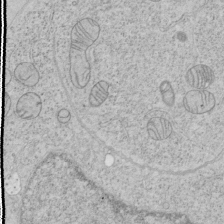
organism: Human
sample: Mitochondria in HCT116 cells